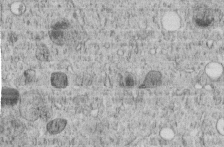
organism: C. elegans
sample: C. elegans embryo early stage